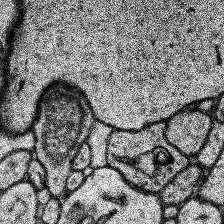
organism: Human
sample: Temporal Lobe